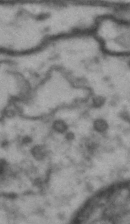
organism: Drosophila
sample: Brain